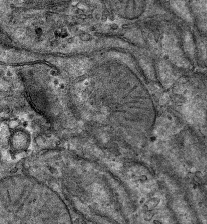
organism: Mouse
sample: Mouse hepatocytes